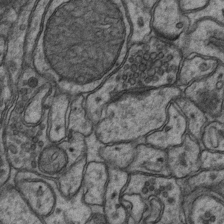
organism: Mouse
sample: CA1 Hippocampus